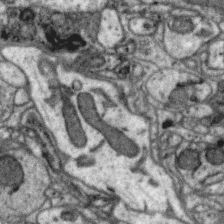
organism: Zebra finch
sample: Brain